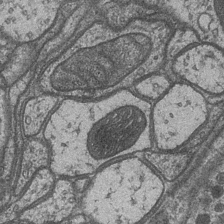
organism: Drosophila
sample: Optic medulla